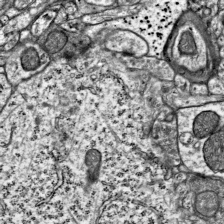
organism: Mouse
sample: Visual Cortex